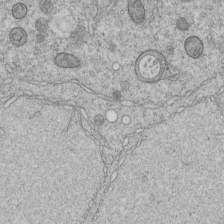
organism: C. elegans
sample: C. elegans embryo early stage